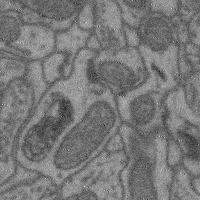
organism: Mouse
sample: Cerebral cortex